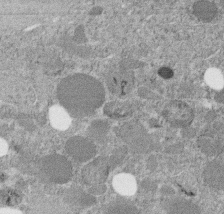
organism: C. elegans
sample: C. elegans embryo early stage